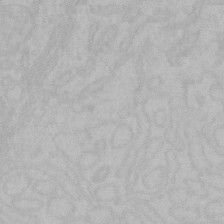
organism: Mouse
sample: Choroid plexus